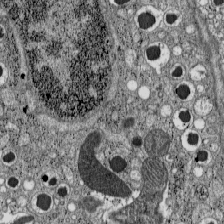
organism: C57BL Mouse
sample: Pancreatic islet